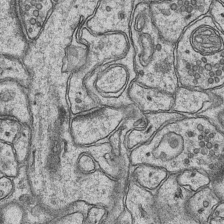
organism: Mouse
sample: CA1 Hippocampus